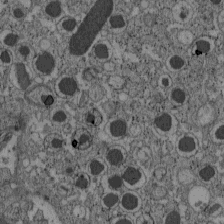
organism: C57BL Mouse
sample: Pancreatic islet